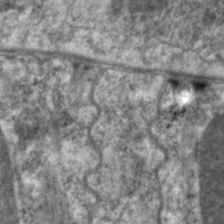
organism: C. elegans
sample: Pharynx